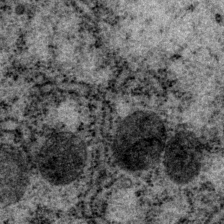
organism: P. pacificus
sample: Pharynx